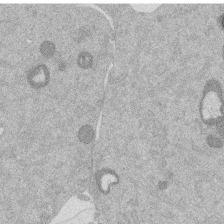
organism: Mouse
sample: Dividing mouse embryo 1 cell stage